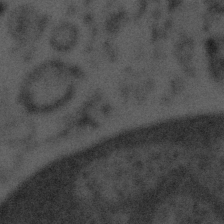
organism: Tuwongella immobilis